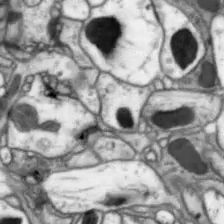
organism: Drosophila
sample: Optic lobe